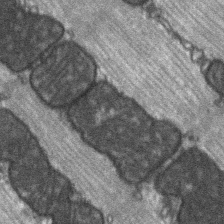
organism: C57BL Mouse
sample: Soleus